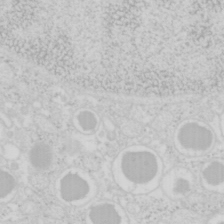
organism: Mouse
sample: Pancreas